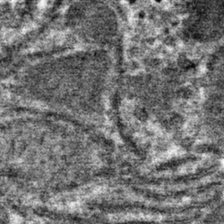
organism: Mouse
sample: Mouse hepatocytes